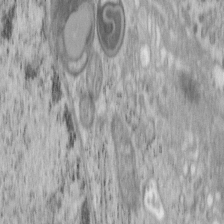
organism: Human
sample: HeLa cells